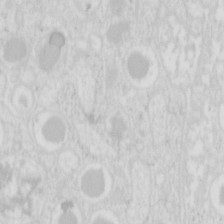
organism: Mouse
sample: Pancreas